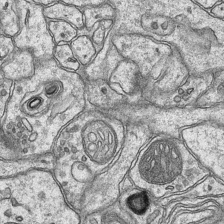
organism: Mouse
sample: CA1 Hippocampus